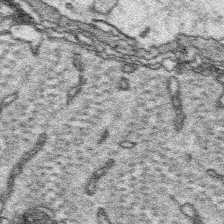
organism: Platynereis dumerilii